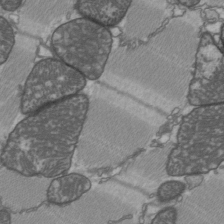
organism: C57BL Mouse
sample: Heart